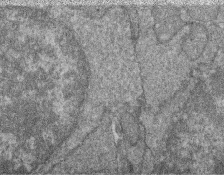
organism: Zebrafish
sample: Cilia; retinal pigment epithelium